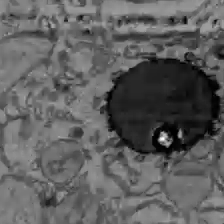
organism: C57BL Mouse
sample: Liver